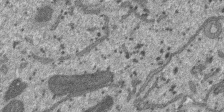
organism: Human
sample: Lung epithelial cells infected with SARS-CoV-2